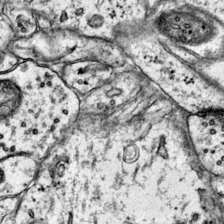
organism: Mouse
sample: Primary visual cortex